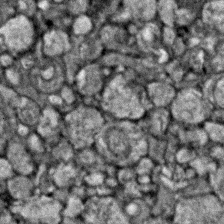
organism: Zebrafish